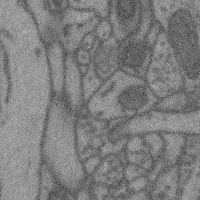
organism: Mouse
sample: Cerebral cortex